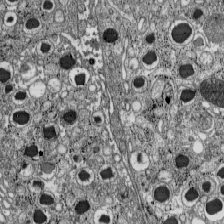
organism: C57BL Mouse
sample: Pancreatic islet